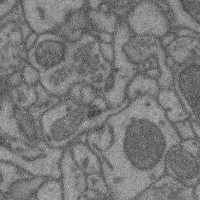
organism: Mouse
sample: Cerebral cortex